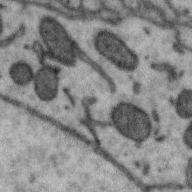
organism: Zebra finch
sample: Brain